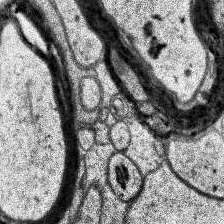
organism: Human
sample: Temporal Lobe